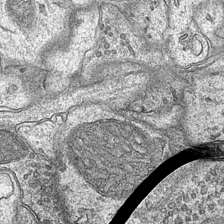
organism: Mouse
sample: CA1 Hippocampus